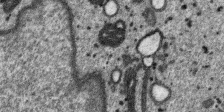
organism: Human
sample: Lung epithelial cells infected with SARS-CoV-2